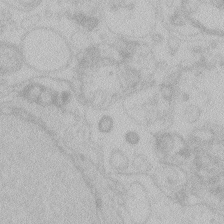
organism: Zebrafish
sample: Macrophage infected with Toxoplasma gondii